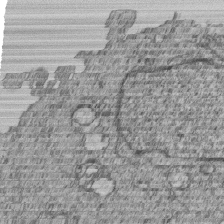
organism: Human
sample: MDA-MB-231 cells